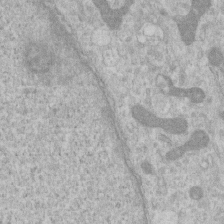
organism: Human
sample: Centriole in RPE cells